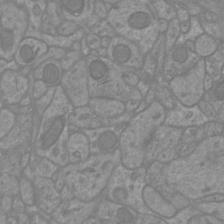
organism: Mouse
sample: Cortical neurons